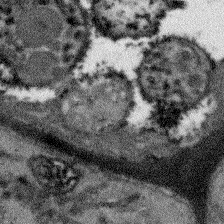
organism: Arabidopsis thaliana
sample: Root tip